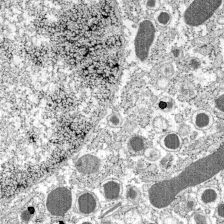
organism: C57BL Mouse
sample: Pancreatic islet